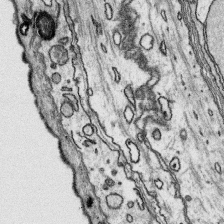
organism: Platynereis dumerilii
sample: Parapodia